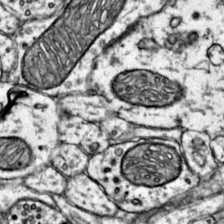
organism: Mouse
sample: Primary visual cortex